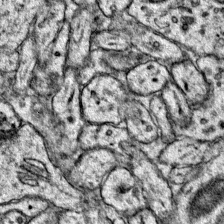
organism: Mouse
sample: Primary visual cortex